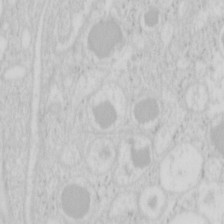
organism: Mouse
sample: Pancreas